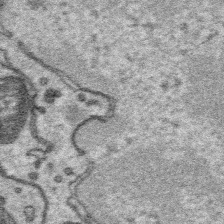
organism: Platynereis dumerilii